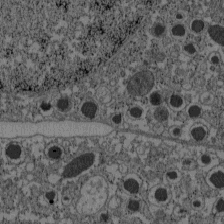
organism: C57BL Mouse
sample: Pancreatic islet